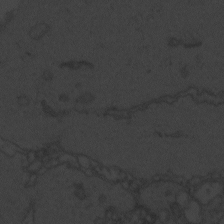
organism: Zebrafish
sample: Macrophage infected with Toxoplasma gondii